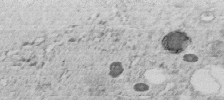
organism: C. elegans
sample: C. elegans embryo early stage